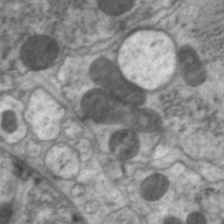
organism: C. elegans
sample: Pharynx